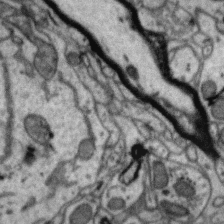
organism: Zebra finch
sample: Brain